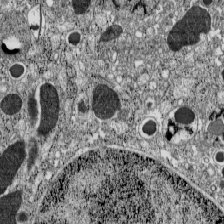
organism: C57BL Mouse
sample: Pancreatic islet